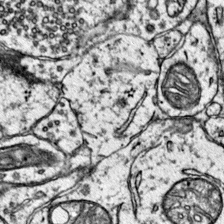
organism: Mouse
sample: Primary visual cortex